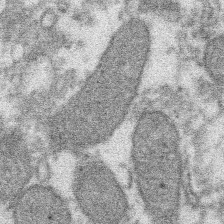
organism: Xenopus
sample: Cilia; centrioles in frog embryo cells